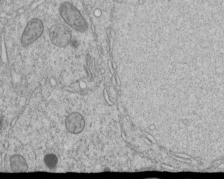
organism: C. elegans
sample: C. elegans embryo early stage